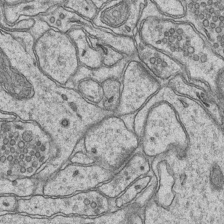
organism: Mouse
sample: CA1 Hippocampus